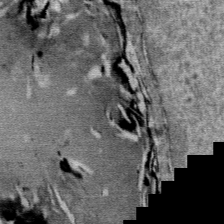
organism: Mouse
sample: Mouse Salivary gland